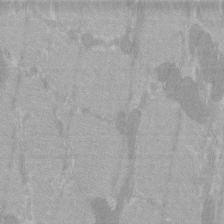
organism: C57BL Mouse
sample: Tibialis anterior muscle cell